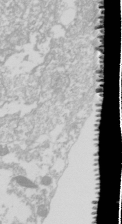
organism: Drosophila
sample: Cell division; meiosis; drosophila spermatocytes